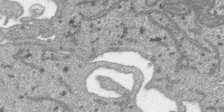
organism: Human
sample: Lung epithelial cells infected with SARS-CoV-2